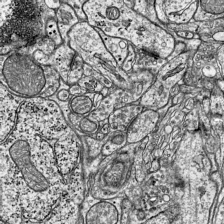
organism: Mouse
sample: Visual Cortex